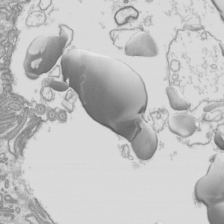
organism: Mouse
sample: Cilia; mouse epididymis